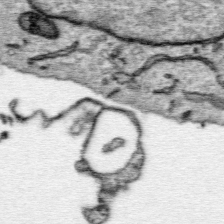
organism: Human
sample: HeLa cells